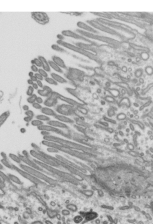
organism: Mouse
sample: Mouse epididymis efferent ductule cilia